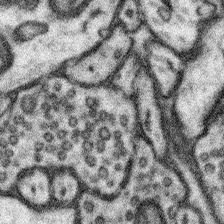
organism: Mouse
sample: Somatosensory cortex neuropil